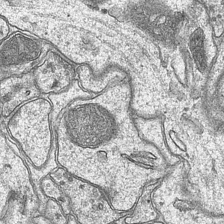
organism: Mouse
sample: CA1 Hippocampus